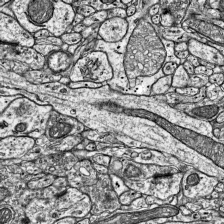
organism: Mouse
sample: Visual Cortex